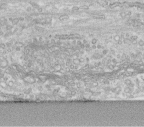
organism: Human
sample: Centriole in fibroblast cells